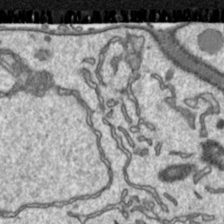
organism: Toxoplasma gondii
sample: Parasites in a vacuole inside a host cell